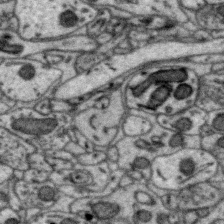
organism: Zebra finch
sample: Brain